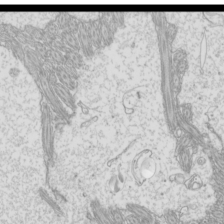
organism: Mouse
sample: Cilia; mouse epididymis